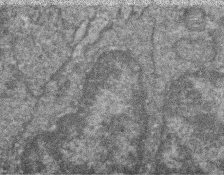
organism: Zebrafish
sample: Cilia; retinal pigment epithelium